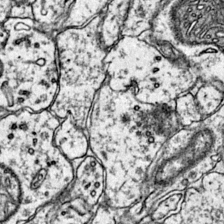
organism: Mouse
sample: Primary visual cortex